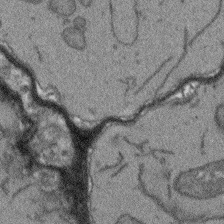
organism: Arabidopsis thaliana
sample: Root tip